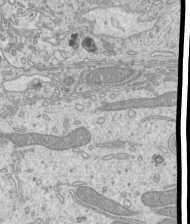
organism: Mouse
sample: Cilia; mouse epididymis